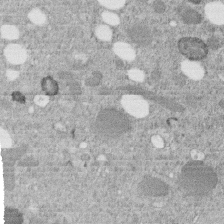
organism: C. elegans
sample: C. elegans embryo early stage